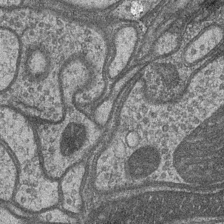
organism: Drosophila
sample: Optic medulla